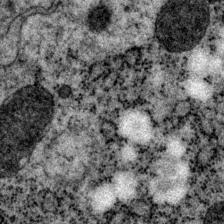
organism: P. pacificus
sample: Pharynx